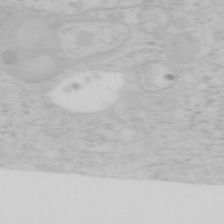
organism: Mouse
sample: OT-I killer T cells with ID8 ovarian cancer cells